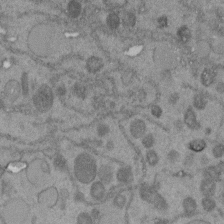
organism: C. elegans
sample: C. elegans embryo early stage